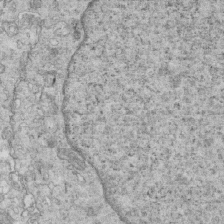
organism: Mouse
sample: Multiciliated cells